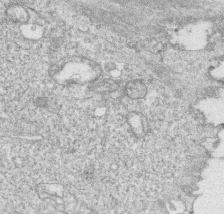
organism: Human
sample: HeLa cell HIV synapse